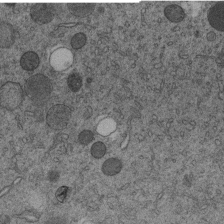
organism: C. elegans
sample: C. elegans embryo early stage